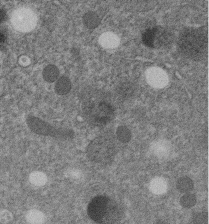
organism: C. elegans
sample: C. elegans embryo early stage